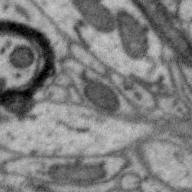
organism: Zebra finch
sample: Brain